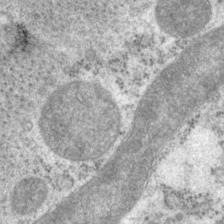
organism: P. pacificus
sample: Pharynx